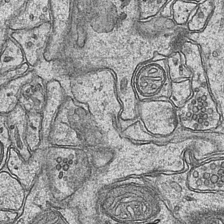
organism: Mouse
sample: CA1 Hippocampus